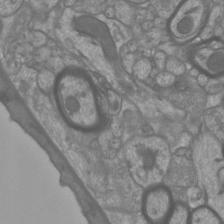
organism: Mouse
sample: Cortical neurons